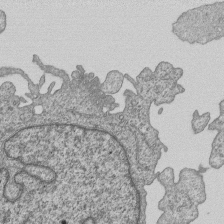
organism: Human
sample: MDA-MB-231 cells